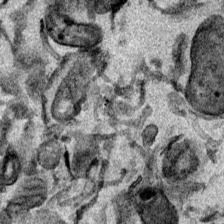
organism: Mouse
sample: Cancer cell death in ED-1 cells